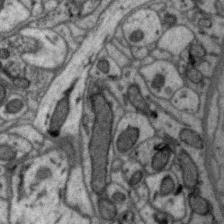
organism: Zebra finch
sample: Brain